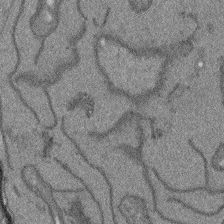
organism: Arabidopsis thaliana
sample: Root tip